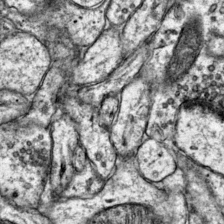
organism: Mouse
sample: Primary visual cortex